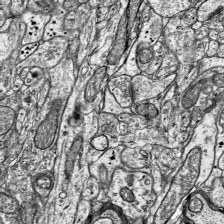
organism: Mouse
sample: Visual Cortex